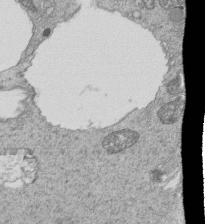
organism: Tetrahymena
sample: Cilia in tetrahymena